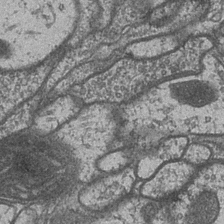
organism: Drosophila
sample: Optic medulla